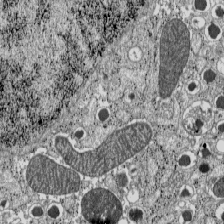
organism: C57BL Mouse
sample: Pancreatic islet